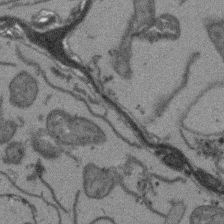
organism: Arabidopsis thaliana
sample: Root tip